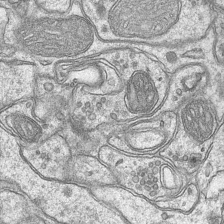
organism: Mouse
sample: CA1 Hippocampus